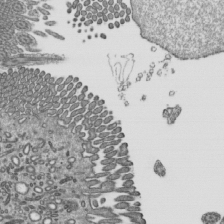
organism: Mouse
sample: Mouse epididymis efferent ductule cilia